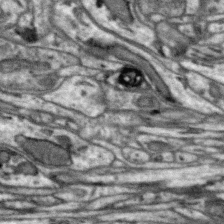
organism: Zebra finch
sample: Brain